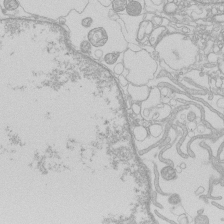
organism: Human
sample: Macrophage cells